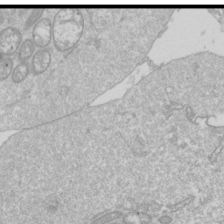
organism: Drosophila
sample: Cell division; meiosis; drosophila spermatocytes